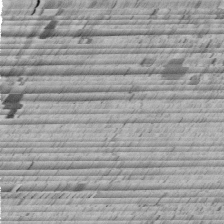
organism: C. elegans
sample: C. elegans embryo early stage